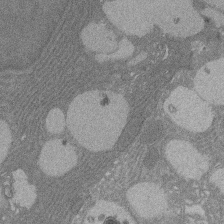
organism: Rat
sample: Salivary granule